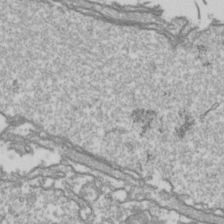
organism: Drosophila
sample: Cell division; meiosis; drosophila spermatocytes